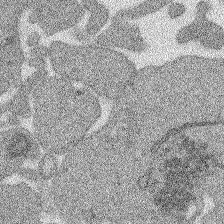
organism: Human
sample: HeLa cells